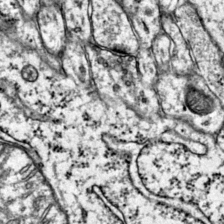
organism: Mouse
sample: Primary visual cortex